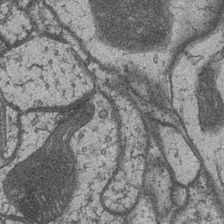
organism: Drosophila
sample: Optic medulla